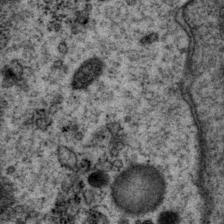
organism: P. pacificus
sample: Pharynx